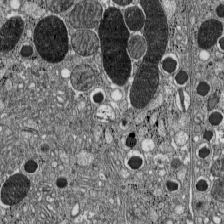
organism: C57BL Mouse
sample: Pancreatic islet